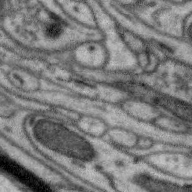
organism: Zebra finch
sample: Brain